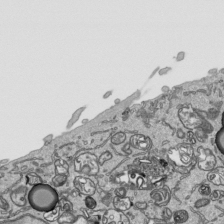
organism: Human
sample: Mitochondria in HCT116 cells